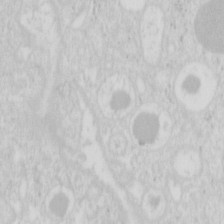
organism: Mouse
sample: Pancreas